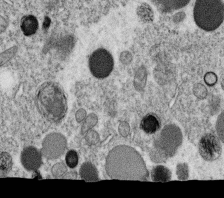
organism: C. elegans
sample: C. elegans oocyte; sperm cells